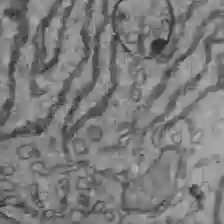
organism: C57BL Mouse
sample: Liver